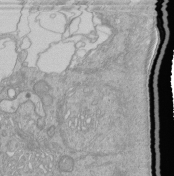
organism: Human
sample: Retinal organoid Rod and Cone cells